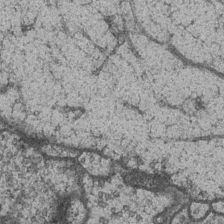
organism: Drosophila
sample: Optic medulla